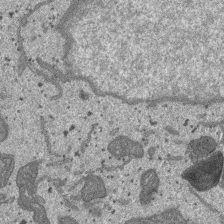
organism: Human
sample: Lung epithelial cells infected with SARS-CoV-2